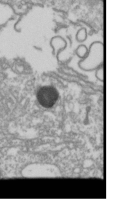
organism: Drosophila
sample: Cell division; meiosis; drosophila spermatocytes